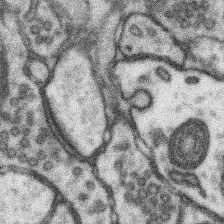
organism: Mouse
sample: Somatosensory cortex neuropil